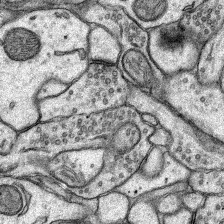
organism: Rat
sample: Hippocampus